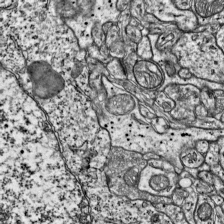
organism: Mouse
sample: Visual Cortex